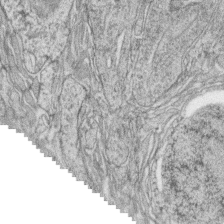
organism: Zebrafish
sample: synaptic ribbons in rod cells and cone cells